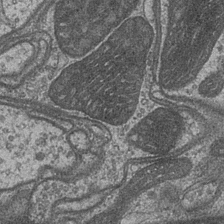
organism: Drosophila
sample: Optic medulla